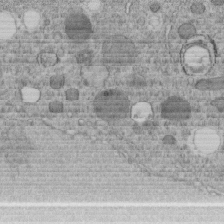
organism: C. elegans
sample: C. elegans embryo early stage